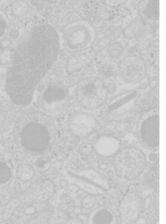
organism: Mouse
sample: Pancreas